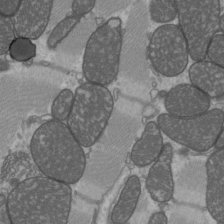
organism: C57BL Mouse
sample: Heart